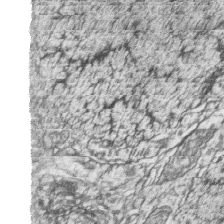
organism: Zebrafish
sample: synaptic ribbons in rod cells and cone cells